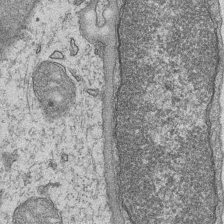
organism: Mouse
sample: CA1 Hippocampus